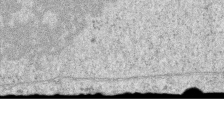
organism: Human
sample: HeLa cell HIV synapse